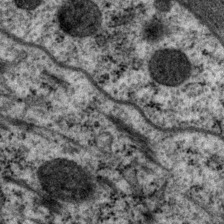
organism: P. pacificus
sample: Pharynx